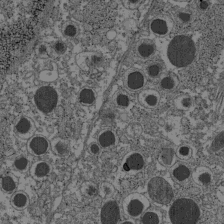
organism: C57BL Mouse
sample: Pancreatic islet